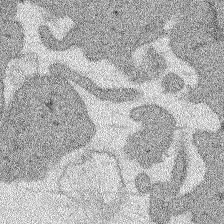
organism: Human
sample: HeLa cells